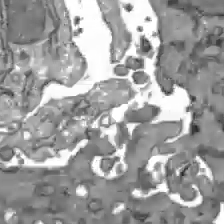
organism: C57BL Mouse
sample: Liver